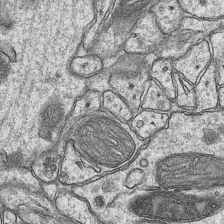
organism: Mouse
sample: CA1 Hippocampus